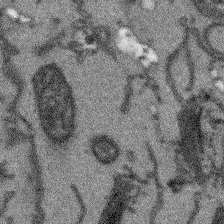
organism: Arabidopsis thaliana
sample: Root tip